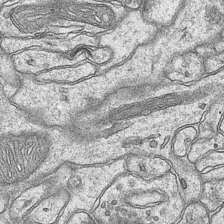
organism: Mouse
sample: CA1 Hippocampus